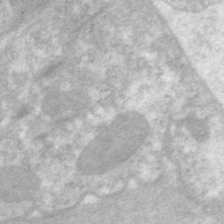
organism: C. elegans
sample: Pharynx